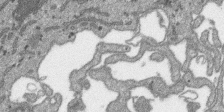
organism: Human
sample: Lung epithelial cells infected with SARS-CoV-2